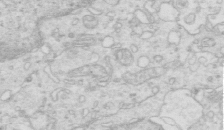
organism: Mouse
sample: Multiciliated cells